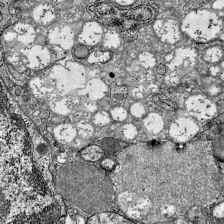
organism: Mouse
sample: Visual Cortex